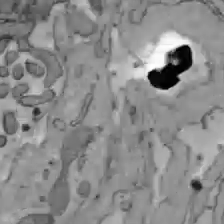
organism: C57BL Mouse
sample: Liver